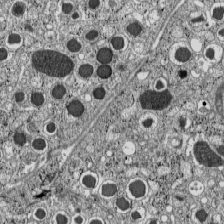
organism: C57BL Mouse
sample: Pancreatic islet